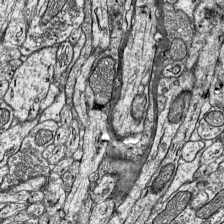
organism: Mouse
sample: Visual Cortex